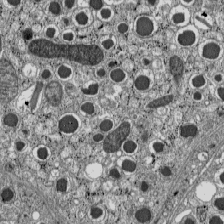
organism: C57BL Mouse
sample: Pancreatic islet